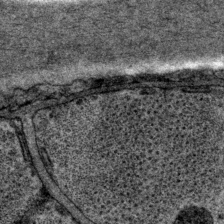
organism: P. pacificus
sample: Pharynx